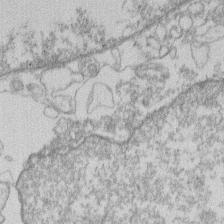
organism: Human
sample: Macrophage cells